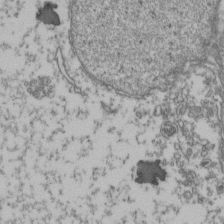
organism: Human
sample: Activated Jurkat CD4+ T cells